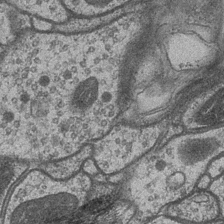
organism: Drosophila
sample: Optic medulla